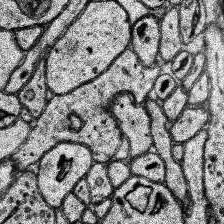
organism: Human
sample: Temporal Lobe